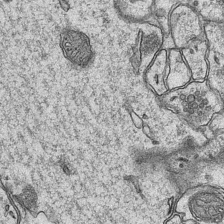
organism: Mouse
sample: CA1 Hippocampus